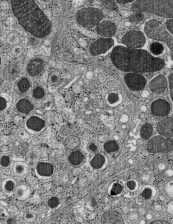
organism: C57BL Mouse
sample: Pancreatic islet